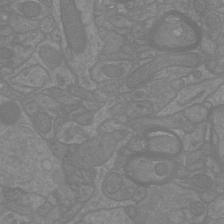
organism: Mouse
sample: Cortical neurons